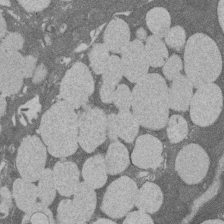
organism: Rat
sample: Salivary granule